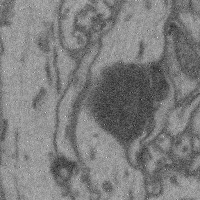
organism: Mouse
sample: Cerebral cortex